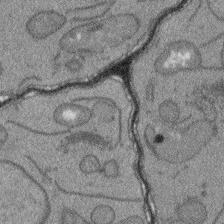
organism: Arabidopsis thaliana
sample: Root tip